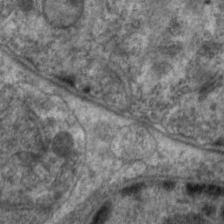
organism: C. elegans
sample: Pharynx